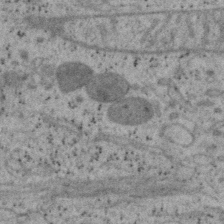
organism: Human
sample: HeLa cells